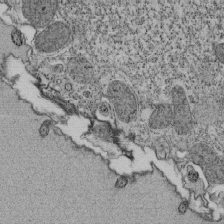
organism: Tetrahymena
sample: Cilia in tetrahymena